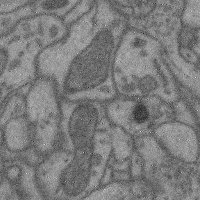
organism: Mouse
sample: Cerebral cortex